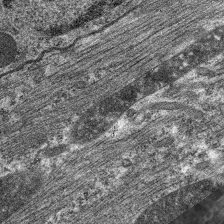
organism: C. elegans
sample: Pharynx